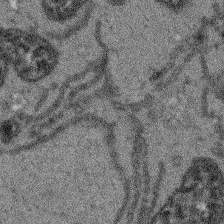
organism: Arabidopsis thaliana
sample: Root tip